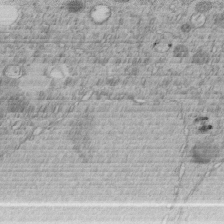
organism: C. elegans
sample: C. elegans embryo early stage